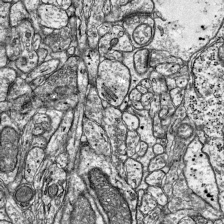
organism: Mouse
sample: Visual Cortex